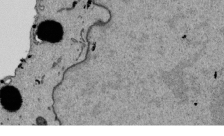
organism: Mouse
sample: ED-1 cell nuclei; centrioles